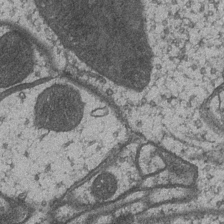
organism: Drosophila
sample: Optic medulla